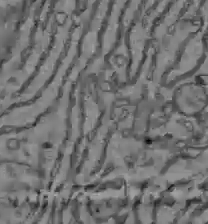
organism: C57BL Mouse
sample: Liver